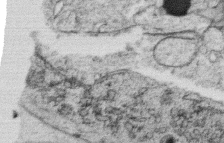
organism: C. elegans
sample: C. elegans oocyte; sperm cells